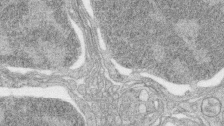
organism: Zebrafish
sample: synaptic ribbons in rod cells and cone cells